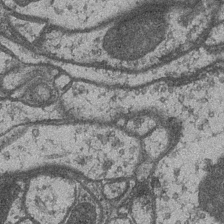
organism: Drosophila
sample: Optic medulla